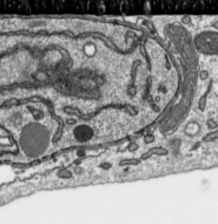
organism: Toxoplasma gondii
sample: Parasites in a vacuole inside a host cell